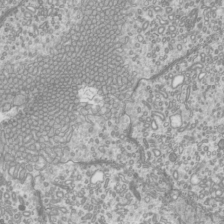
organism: Mouse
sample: Cilia; mouse epididymis